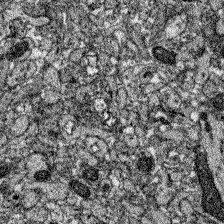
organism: Zebrafish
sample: Larval olfactory bulb